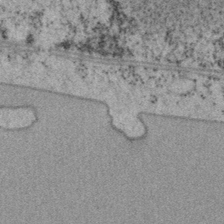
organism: Human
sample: HeLa cells